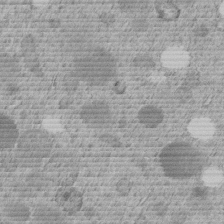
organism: C. elegans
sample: C. elegans embryo early stage